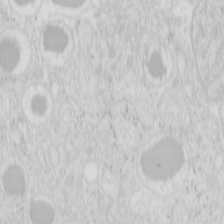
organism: Mouse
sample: Pancreas